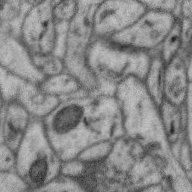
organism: Zebra finch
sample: Brain